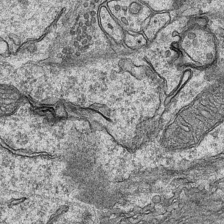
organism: Mouse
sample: CA1 Hippocampus